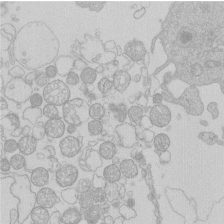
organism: Human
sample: Macrophage cells